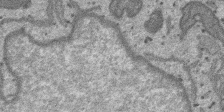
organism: Human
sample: Lung epithelial cells infected with SARS-CoV-2